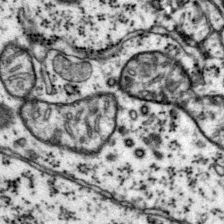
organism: Mouse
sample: Primary visual cortex